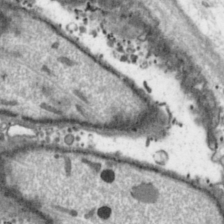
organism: Toxoplasma gondii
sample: Parasites in a vacuole inside a host cell